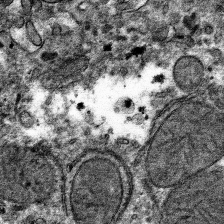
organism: Mouse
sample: Mouse hepatocytes